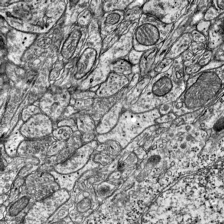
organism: Mouse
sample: Visual Cortex